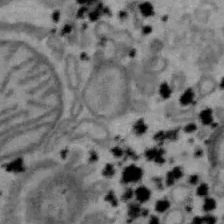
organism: Mouse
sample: Liver